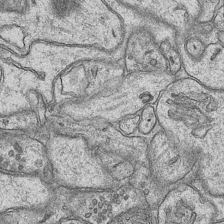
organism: Mouse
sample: CA1 Hippocampus